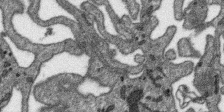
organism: Human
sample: Lung epithelial cells infected with SARS-CoV-2